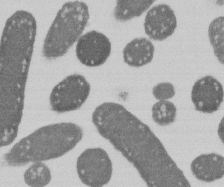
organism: E. coli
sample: Bacterial nucleoid